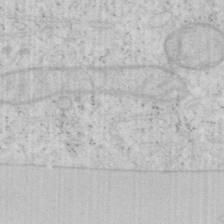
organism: Human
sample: HeLa cells